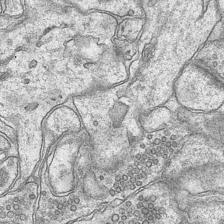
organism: Mouse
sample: CA1 Hippocampus